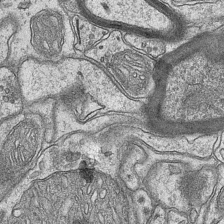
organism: Mouse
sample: CA1 Hippocampus